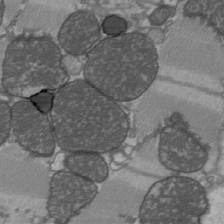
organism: C57BL Mouse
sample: Heart